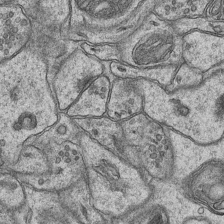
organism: Mouse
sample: CA1 Hippocampus